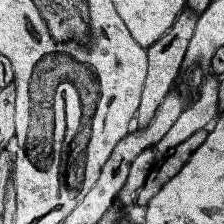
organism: Human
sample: Temporal Lobe